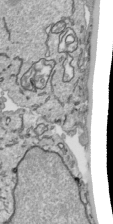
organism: Human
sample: Mitochondria in HCT116 cells